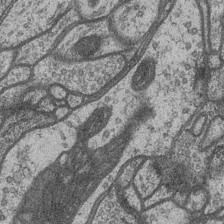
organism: Drosophila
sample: Optic medulla